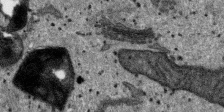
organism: Human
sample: Lung epithelial cells, uninfected (mock) control